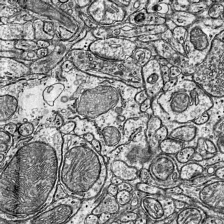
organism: Mouse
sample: Visual Cortex